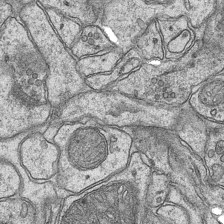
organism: Mouse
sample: CA1 Hippocampus